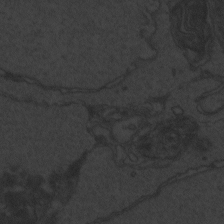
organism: Zebrafish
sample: Macrophage infected with Toxoplasma gondii